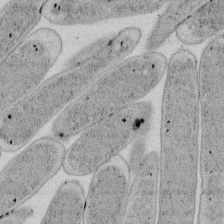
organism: E. coli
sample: Bacterial nucleoid